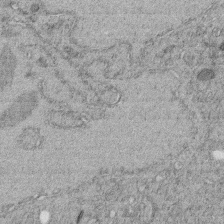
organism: C. elegans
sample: C. elegans embryo early stage